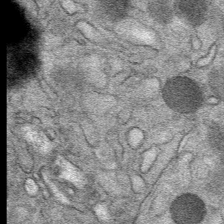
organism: Mouse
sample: Mouse Salivary gland